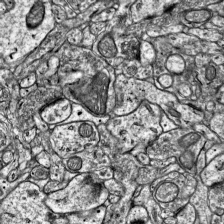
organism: Mouse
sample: Visual Cortex